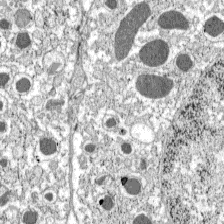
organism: C57BL Mouse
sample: Pancreatic islet